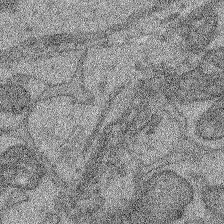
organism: Human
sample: HeLa cells